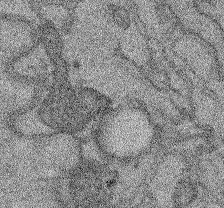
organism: Human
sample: HeLa cells